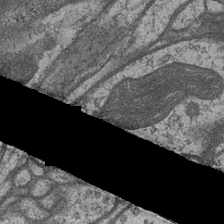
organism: Drosophila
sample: Optic medulla